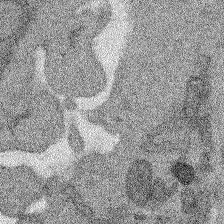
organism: Human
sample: HeLa cells